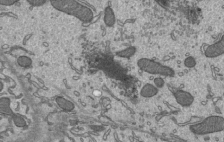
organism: Mouse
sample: Mouse epididymis efferent ductule cilia